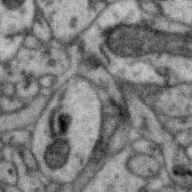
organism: Zebra finch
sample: Brain